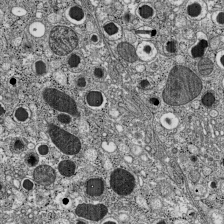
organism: C57BL Mouse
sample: Pancreatic islet